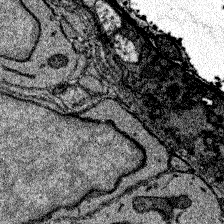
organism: Zebrafish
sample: Larval olfactory bulb